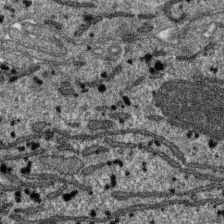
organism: Human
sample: Lung epithelial cells infected with SARS-CoV-2